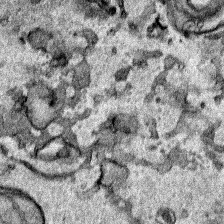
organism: Human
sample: Mitochondria in HCT116 cells